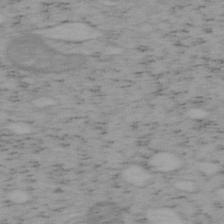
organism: Mouse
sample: OT-I killer T cells with ID8 ovarian cancer cells